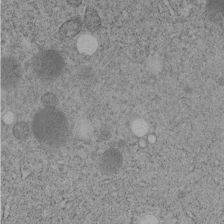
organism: C. elegans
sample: C. elegans embryo early stage